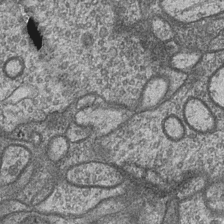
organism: Drosophila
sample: Optic medulla